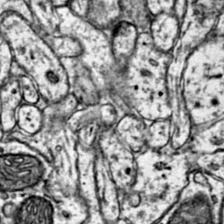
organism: Mouse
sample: Primary visual cortex